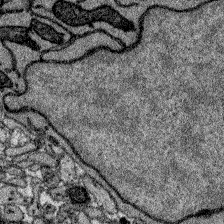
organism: Zebrafish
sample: Larval olfactory bulb